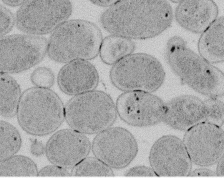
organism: E. coli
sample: Bacterial nucleoid